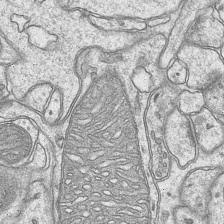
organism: Mouse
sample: CA1 Hippocampus